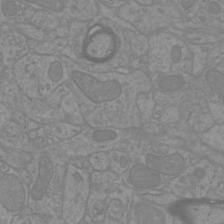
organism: Mouse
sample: Cortical neurons